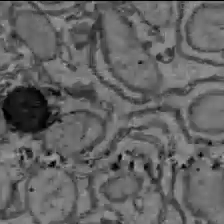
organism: C57BL Mouse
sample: Liver